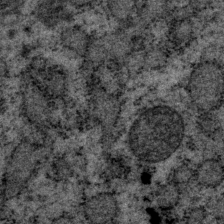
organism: P. pacificus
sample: Pharynx